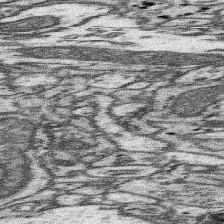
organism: Mouse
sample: Somatosensory cortex neuropil